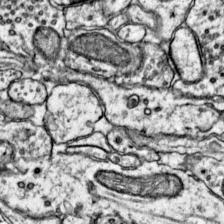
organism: Mouse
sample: Primary visual cortex